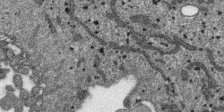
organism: Human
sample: Lung epithelial cells infected with SARS-CoV-2